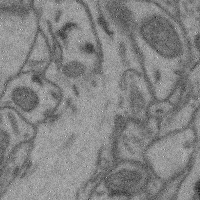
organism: Mouse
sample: Cerebral cortex